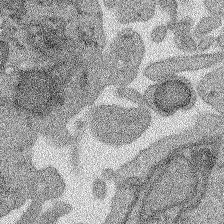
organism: Human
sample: HeLa cells